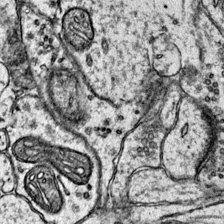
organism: Mouse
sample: Primary visual cortex